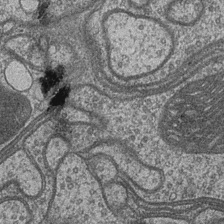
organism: Drosophila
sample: Optic medulla